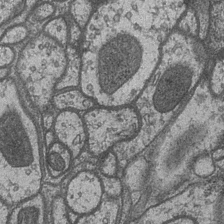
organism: Drosophila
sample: Optic medulla